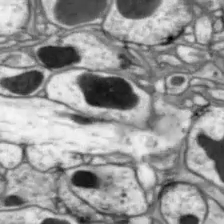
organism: Drosophila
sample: Optic lobe